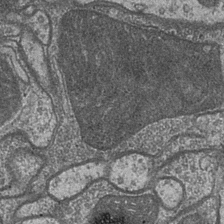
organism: Drosophila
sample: Optic medulla